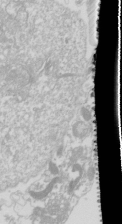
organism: Drosophila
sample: Cell division; meiosis; drosophila spermatocytes